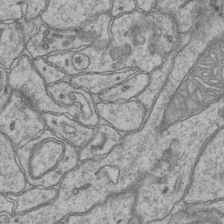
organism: Mouse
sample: CA1 Hippocampus